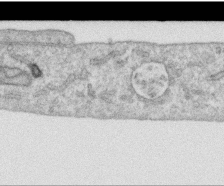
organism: Human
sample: Centriole in RPE cells